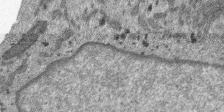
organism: Human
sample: Lung epithelial cells infected with SARS-CoV-2